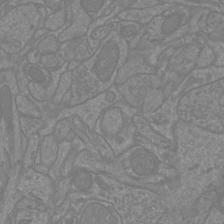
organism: Mouse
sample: Cortical neurons